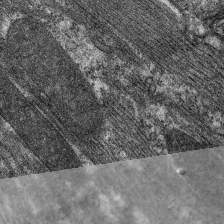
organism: C. elegans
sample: Pharynx